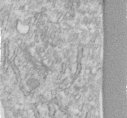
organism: Human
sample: Centriole in fibroblast cells